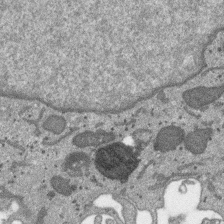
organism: Human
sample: Lung epithelial cells infected with SARS-CoV-2